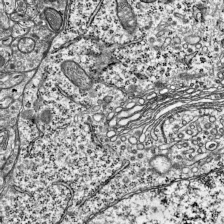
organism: Mouse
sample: Visual Cortex